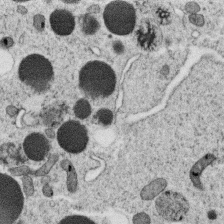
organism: C. elegans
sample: C. elegans oocyte; sperm cells